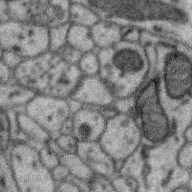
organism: Zebra finch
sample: Brain